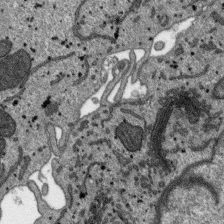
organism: Human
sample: Lung epithelial cells, uninfected (mock) control